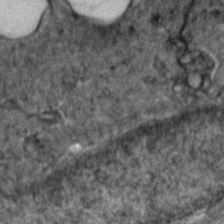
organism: Zebrafish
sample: Zebrafish embryo